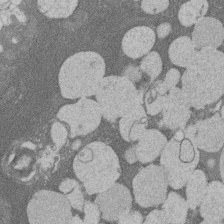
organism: Rat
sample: Salivary granule